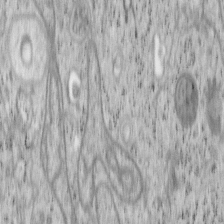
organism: Human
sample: HeLa cells